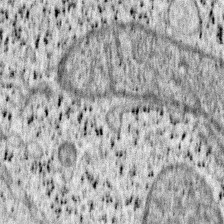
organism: Human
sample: HeLa cells